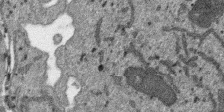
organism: Human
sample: Lung epithelial cells infected with SARS-CoV-2